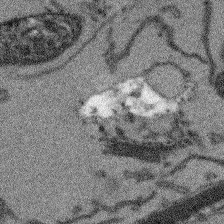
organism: Arabidopsis thaliana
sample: Root tip